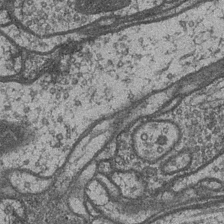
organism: Drosophila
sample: Optic medulla